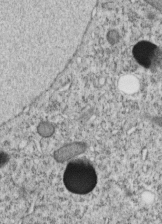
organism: C. elegans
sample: C. elegans embryo early stage